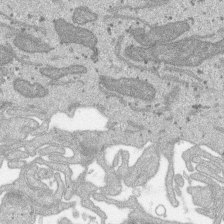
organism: Human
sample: Lung epithelial cells infected with SARS-CoV-2